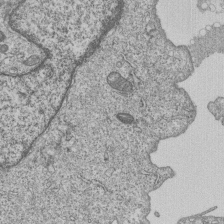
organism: Human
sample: MDA-MB-231 cells